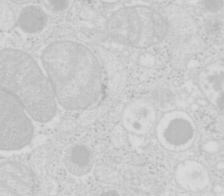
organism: Mouse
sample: Pancreas